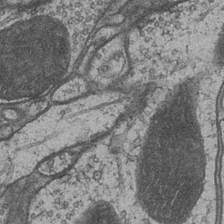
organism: Drosophila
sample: Optic medulla